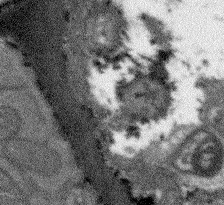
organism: Arabidopsis thaliana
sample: Root tip